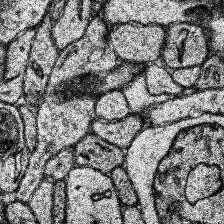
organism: Human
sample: Temporal Lobe